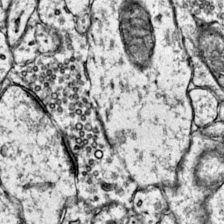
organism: Mouse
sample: Primary visual cortex